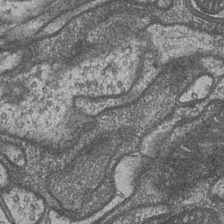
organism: Drosophila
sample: Optic medulla